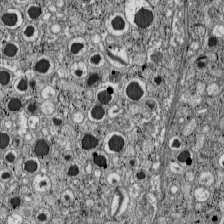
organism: C57BL Mouse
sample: Pancreatic islet